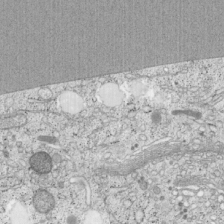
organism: African green monkey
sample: COS-7 cells